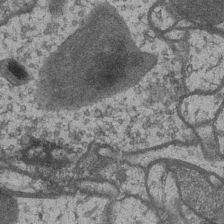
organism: Drosophila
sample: Optic medulla